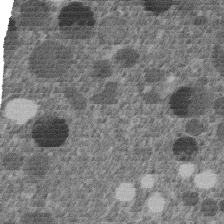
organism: C. elegans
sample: C. elegans embryo early stage